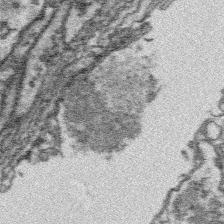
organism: Platynereis dumerilii